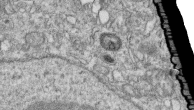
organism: Human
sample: HeLa cell HIV synapse